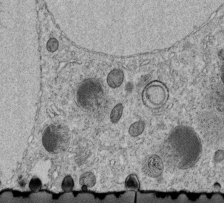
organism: C. elegans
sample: C. elegans embryo early stage